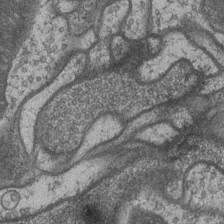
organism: Drosophila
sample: Optic medulla